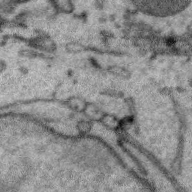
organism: Zebra finch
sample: Brain